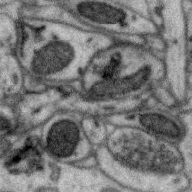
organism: Zebra finch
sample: Brain